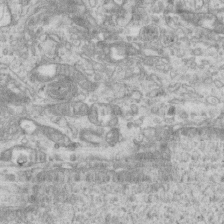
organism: Mouse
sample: Centriole in ependymal cells